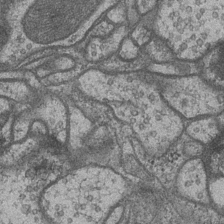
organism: Drosophila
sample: Optic medulla